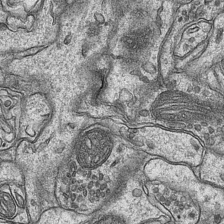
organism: Mouse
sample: CA1 Hippocampus